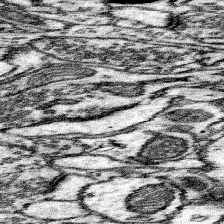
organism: Mouse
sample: Somatosensory cortex neuropil